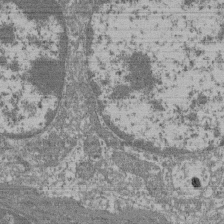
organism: Mouse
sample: Glomerulus